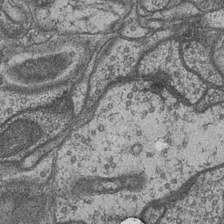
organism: Drosophila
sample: Optic medulla